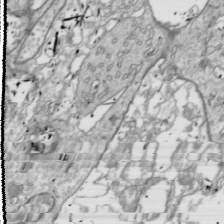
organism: Drosophila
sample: Cell division; meiosis; drosophila spermatocytes